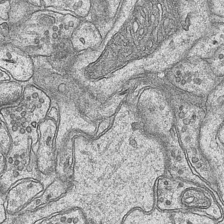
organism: Mouse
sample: CA1 Hippocampus